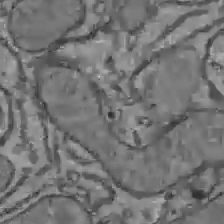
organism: C57BL Mouse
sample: Liver